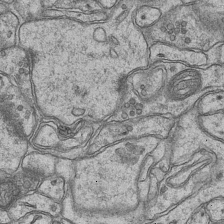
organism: Mouse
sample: CA1 Hippocampus